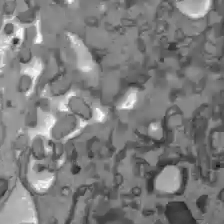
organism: C57BL Mouse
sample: Liver